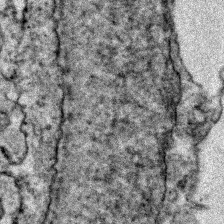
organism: Zebrafish